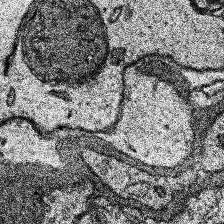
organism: Human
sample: Temporal Lobe